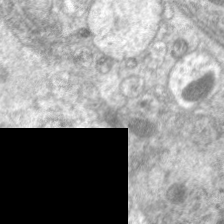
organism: C. elegans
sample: Pharynx